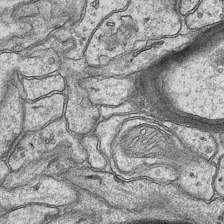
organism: Mouse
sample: CA1 Hippocampus